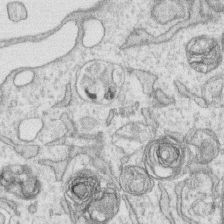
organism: Human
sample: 1205lu cells